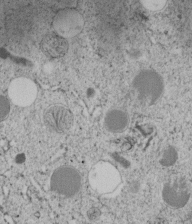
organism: C. elegans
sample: C. elegans embryo early stage